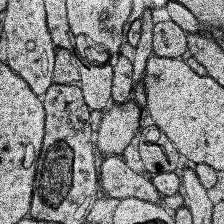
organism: Human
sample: Temporal Lobe